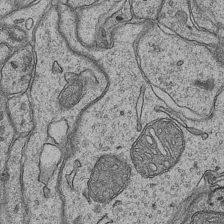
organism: Mouse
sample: CA1 Hippocampus